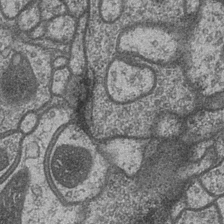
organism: Drosophila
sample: Optic medulla